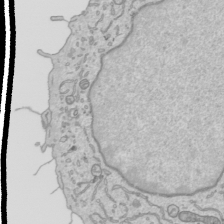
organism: Human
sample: Mitochondria in HCT116 cells